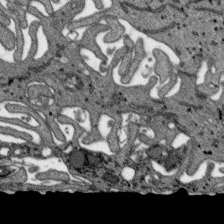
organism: Human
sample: Lung epithelial cells, uninfected (mock) control